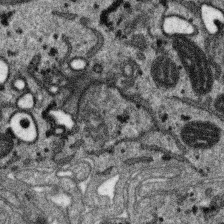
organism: Human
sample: Lung epithelial cells infected with SARS-CoV-2